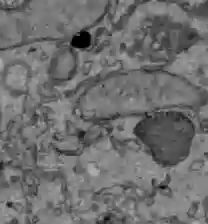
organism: C57BL Mouse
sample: Liver